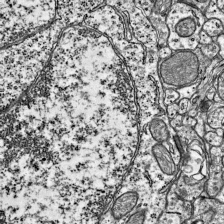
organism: Mouse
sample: Visual Cortex